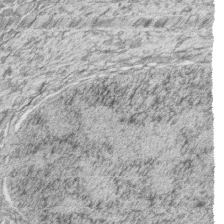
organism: Zebrafish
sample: synaptic ribbons in rod cells and cone cells